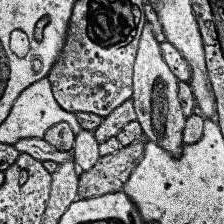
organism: Human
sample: Temporal Lobe